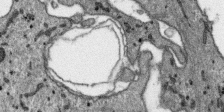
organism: Human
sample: Lung epithelial cells, uninfected (mock) control